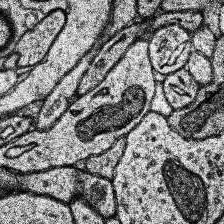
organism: Human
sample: Temporal Lobe